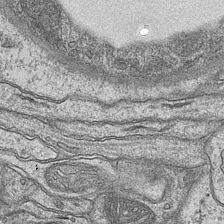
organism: Mouse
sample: CA1 Hippocampus